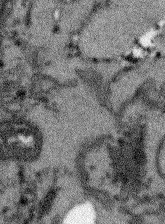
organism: Arabidopsis thaliana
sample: Root tip